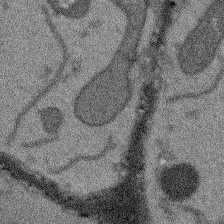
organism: Arabidopsis thaliana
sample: Root tip